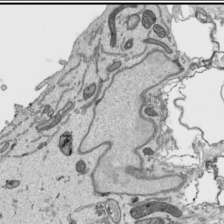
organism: Human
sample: Mitochondria in HCT116 cells